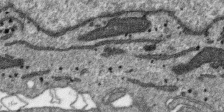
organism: Human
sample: Lung epithelial cells, uninfected (mock) control